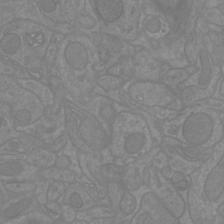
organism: Mouse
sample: Cortical neurons